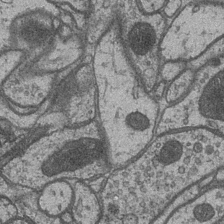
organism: Drosophila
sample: Optic medulla